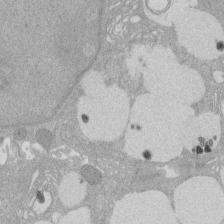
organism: Rat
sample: Salivary granule